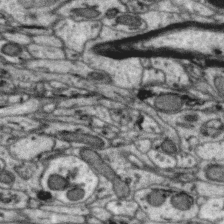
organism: Zebra finch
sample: Brain